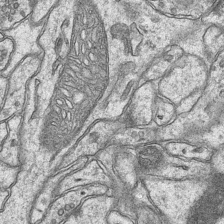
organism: Mouse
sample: CA1 Hippocampus